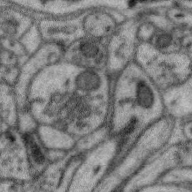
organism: Zebra finch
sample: Brain